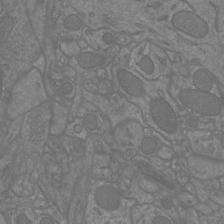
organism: Mouse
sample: Cortical neurons